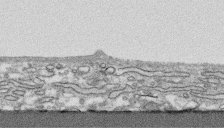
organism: Human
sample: CRL-1474